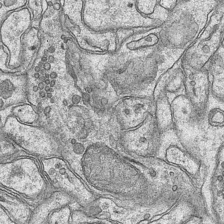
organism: Mouse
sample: CA1 Hippocampus